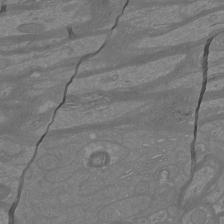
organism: Mouse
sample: Cortical neurons